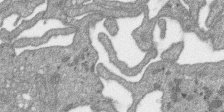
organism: Human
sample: Lung epithelial cells infected with SARS-CoV-2